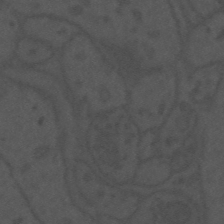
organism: Mouse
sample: Suprachiasmatic nucleus